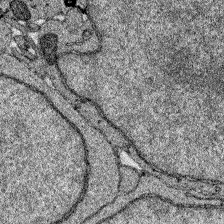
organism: Zebrafish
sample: Larval olfactory bulb